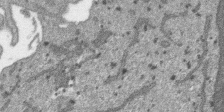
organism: Human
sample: Lung epithelial cells infected with SARS-CoV-2